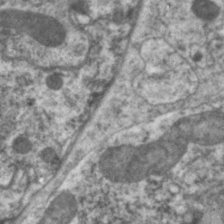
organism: C. elegans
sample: Pharynx